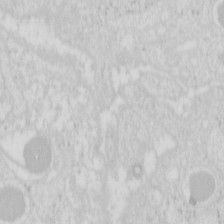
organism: Mouse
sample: Pancreas